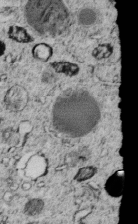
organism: C. elegans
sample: C. elegans embryo early stage